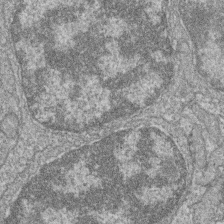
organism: Zebrafish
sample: Cilia; retinal pigment epithelium